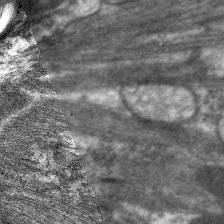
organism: C. elegans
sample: Pharynx